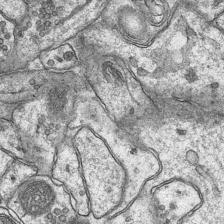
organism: Mouse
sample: CA1 Hippocampus